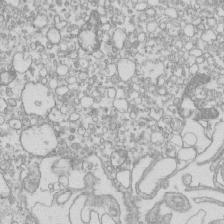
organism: Mouse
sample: Macrophages